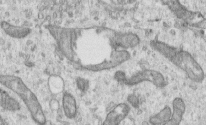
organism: Human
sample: Centriole in RPE cells